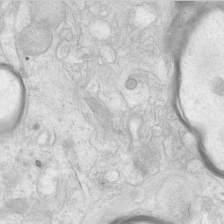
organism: Human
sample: Neocortex